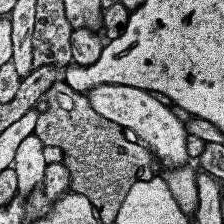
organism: Human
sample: Temporal Lobe